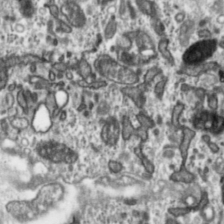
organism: Toxoplasma gondii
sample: Parasites in a vacuole inside a host cell